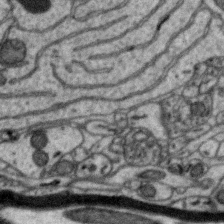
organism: Zebra finch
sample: Brain